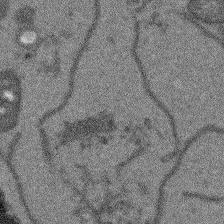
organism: Arabidopsis thaliana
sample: Root tip